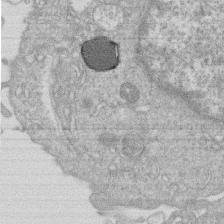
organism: Human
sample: Macrophage cells